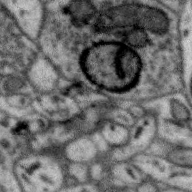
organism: Zebra finch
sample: Brain